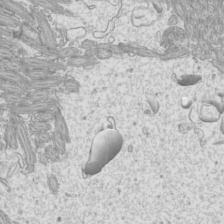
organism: Mouse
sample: Cilia; mouse epididymis